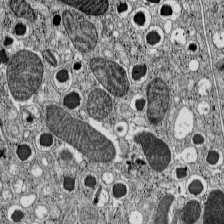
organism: C57BL Mouse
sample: Pancreatic islet